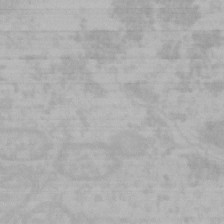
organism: Mouse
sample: Choroid plexus